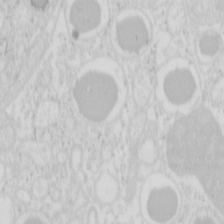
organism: Mouse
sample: Pancreas